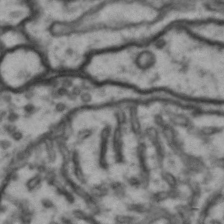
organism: Drosophila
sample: Brain